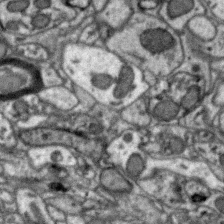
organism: Zebra finch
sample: Brain